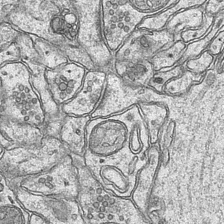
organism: Mouse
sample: CA1 Hippocampus